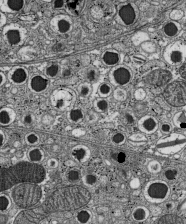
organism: C57BL Mouse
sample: Pancreatic islet